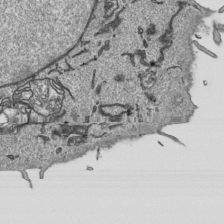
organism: Human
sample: Mitochondria in HCT116 cells